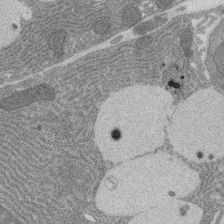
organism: Rat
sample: Salivary granule